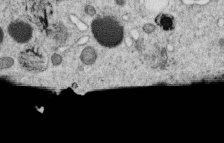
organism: C. elegans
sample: C. elegans oocyte; sperm cells